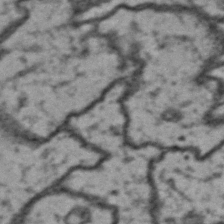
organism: Drosophila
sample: Brain